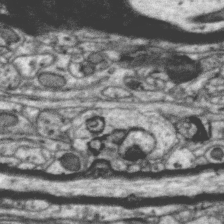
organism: Zebra finch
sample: Brain